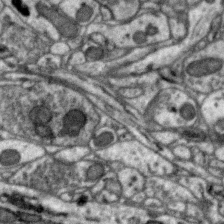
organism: Zebra finch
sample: Brain